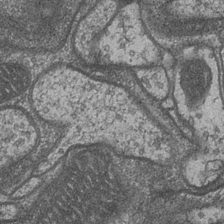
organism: Drosophila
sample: Optic medulla